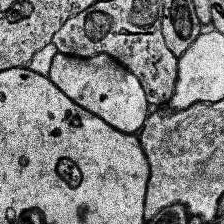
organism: Human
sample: Temporal Lobe